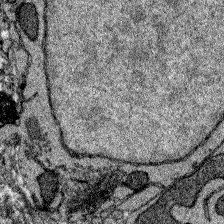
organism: Zebrafish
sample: Larval olfactory bulb